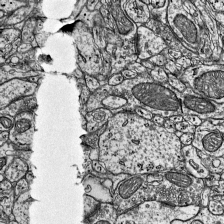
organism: Mouse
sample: Visual Cortex